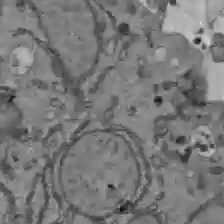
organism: C57BL Mouse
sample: Liver